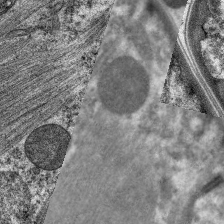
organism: C. elegans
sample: Pharynx